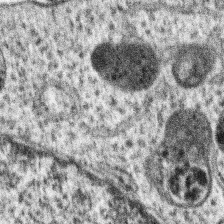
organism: Human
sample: HeLa cells